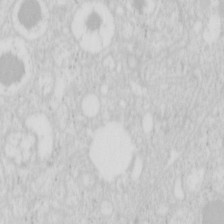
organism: Mouse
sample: Pancreas